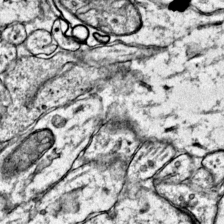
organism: Mouse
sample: Primary visual cortex